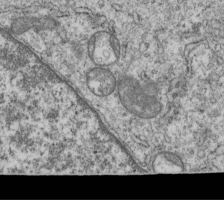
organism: Human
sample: MDA-MB-231 cells